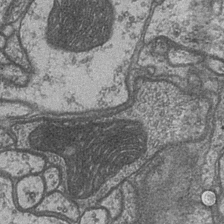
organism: Drosophila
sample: Optic medulla